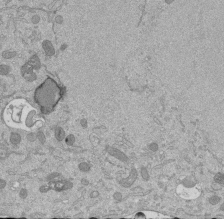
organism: Mouse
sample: ED-1 cell nuclei; centrioles